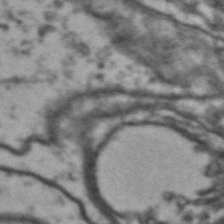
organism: Drosophila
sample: Brain